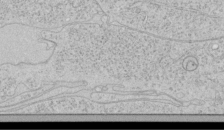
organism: Human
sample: Mitochondria in HCT116 cells